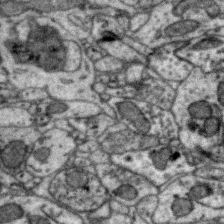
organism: Zebra finch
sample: Brain